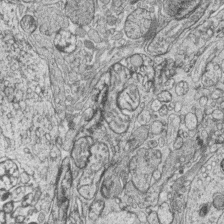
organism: Zebrafish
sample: synaptic ribbons in rod cells and cone cells